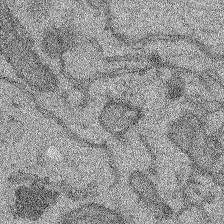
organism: Human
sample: HeLa cells